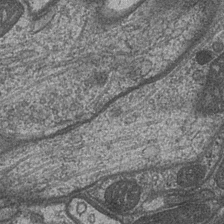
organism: Drosophila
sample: Optic medulla